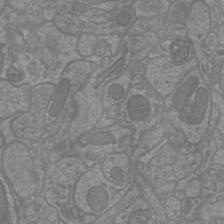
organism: Mouse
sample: Cortical neurons